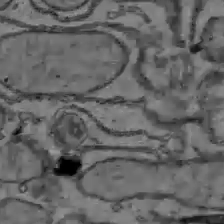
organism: C57BL Mouse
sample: Liver